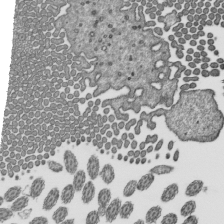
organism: Mouse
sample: Mouse epididymis efferent ductule cilia